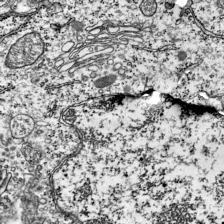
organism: Mouse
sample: Visual Cortex